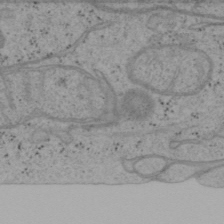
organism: Human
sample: HeLa cells